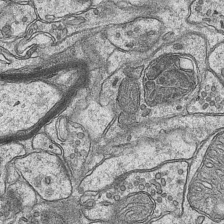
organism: Mouse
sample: CA1 Hippocampus